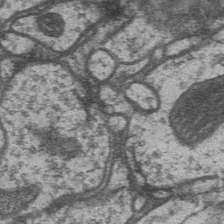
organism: Drosophila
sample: Optic medulla